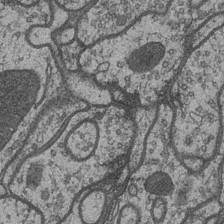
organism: Drosophila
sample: Optic medulla